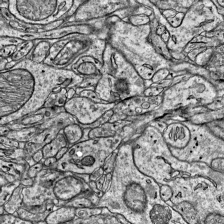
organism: Mouse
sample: Visual Cortex